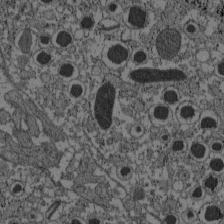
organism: C57BL Mouse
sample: Pancreatic islet